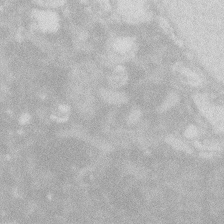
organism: Zebrafish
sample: Macrophage